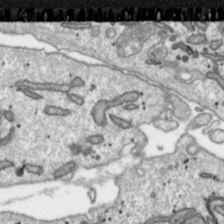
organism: Toxoplasma gondii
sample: Parasites in a vacuole inside a host cell